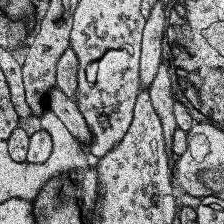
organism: Human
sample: Temporal Lobe